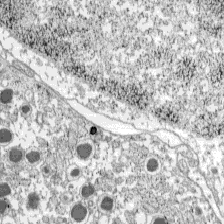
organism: C57BL Mouse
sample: Pancreatic islet